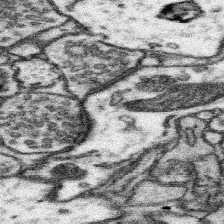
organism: Mouse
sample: Somatosensory cortex neuropil